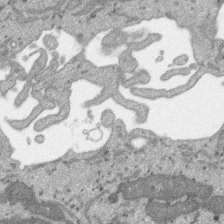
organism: Human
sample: Lung epithelial cells infected with SARS-CoV-2